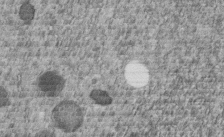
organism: C. elegans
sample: C. elegans embryo early stage